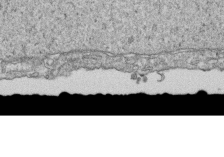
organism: Human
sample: HeLa cell HIV synapse